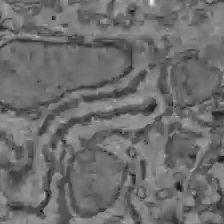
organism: C57BL Mouse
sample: Liver